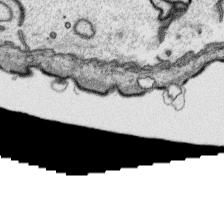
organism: Platynereis dumerilii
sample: Parapodia